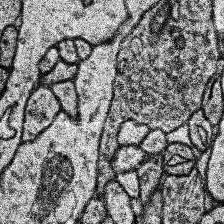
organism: Human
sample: Temporal Lobe